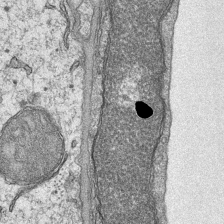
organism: Mouse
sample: CA1 Hippocampus